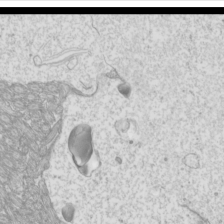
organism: Mouse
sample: Cilia; mouse epididymis